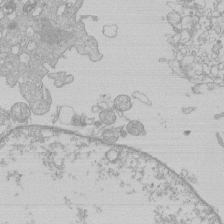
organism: Human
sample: Macrophage cells